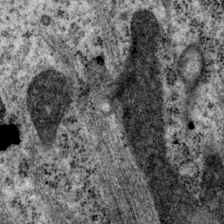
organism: P. pacificus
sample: Pharynx